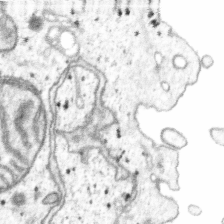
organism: Human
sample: HeLa cells